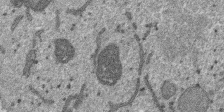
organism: Human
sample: Lung epithelial cells infected with SARS-CoV-2